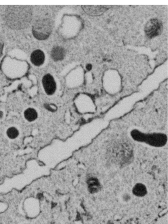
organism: C. elegans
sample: C. elegans embryo early stage